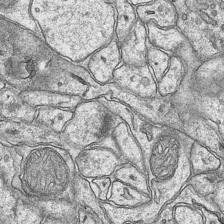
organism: Mouse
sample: CA1 Hippocampus